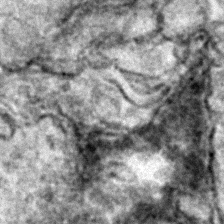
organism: Zebrafish